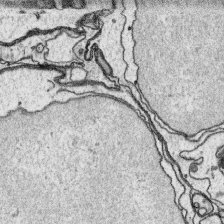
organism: Platynereis dumerilii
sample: Parapodia